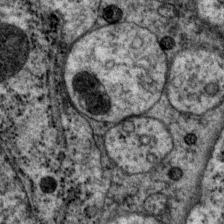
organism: P. pacificus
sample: Pharynx